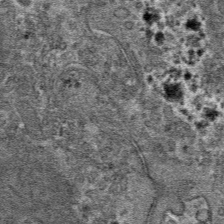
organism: Mouse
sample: Mouse hepatocytes